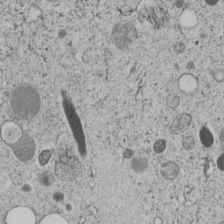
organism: C. elegans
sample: C. elegans embryo early stage